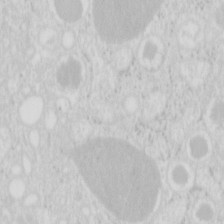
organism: Mouse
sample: Pancreas